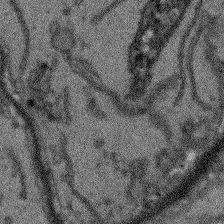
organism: Arabidopsis thaliana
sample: Root tip